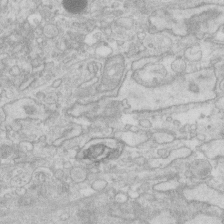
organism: Human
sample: Fibroblast cells